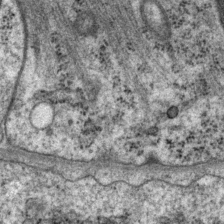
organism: P. pacificus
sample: Pharynx